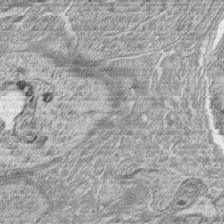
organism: Zebrafish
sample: synaptic ribbons in rod cells and cone cells